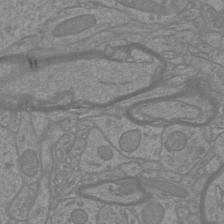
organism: Mouse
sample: Cortical neurons